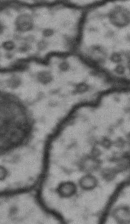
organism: Drosophila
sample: Brain